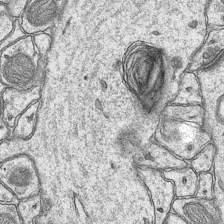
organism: Mouse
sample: CA1 Hippocampus